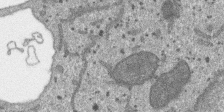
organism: Human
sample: Lung epithelial cells infected with SARS-CoV-2